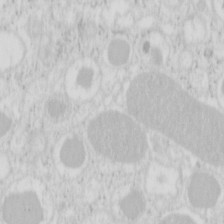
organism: Mouse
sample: Pancreas